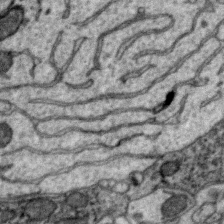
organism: Zebra finch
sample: Brain